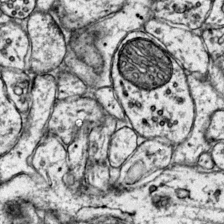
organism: Mouse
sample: Primary visual cortex